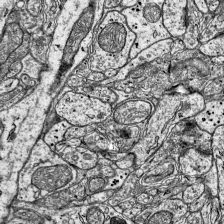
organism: Mouse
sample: Visual Cortex